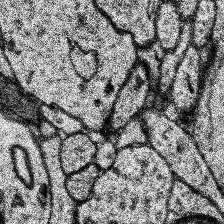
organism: Human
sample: Temporal Lobe